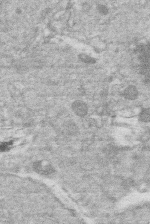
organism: Human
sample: Macrophage cells